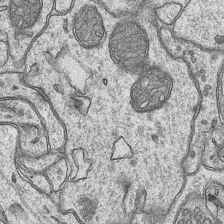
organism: Mouse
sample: CA1 Hippocampus